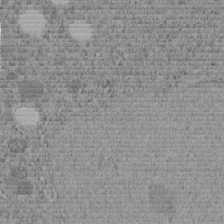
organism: C. elegans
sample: C. elegans embryo early stage